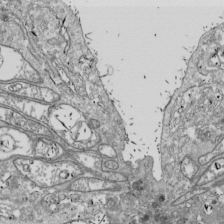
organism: Drosophila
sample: Cell division; meiosis; drosophila spermatocytes